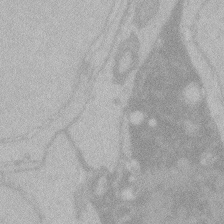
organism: Zebrafish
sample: Macrophage infected with Toxoplasma gondii